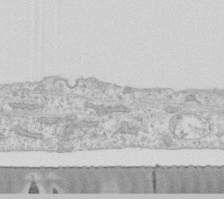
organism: Human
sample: Fibroblast cells